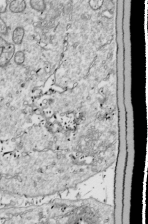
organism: Drosophila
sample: Cell division; meiosis; drosophila spermatocytes